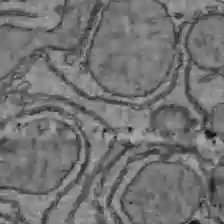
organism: C57BL Mouse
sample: Liver